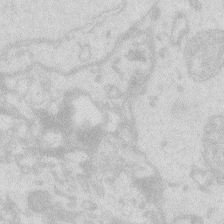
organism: Zebrafish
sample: Macrophage